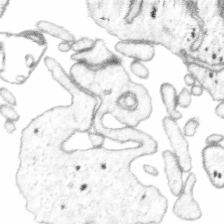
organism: Human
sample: HeLa cells